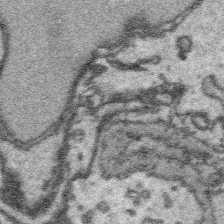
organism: Platynereis dumerilii